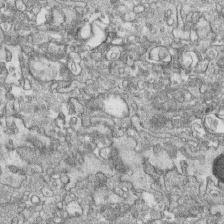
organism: Human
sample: CRL-1474